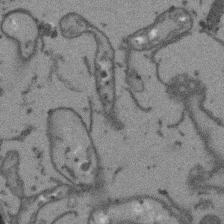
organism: Arabidopsis thaliana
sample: Root tip